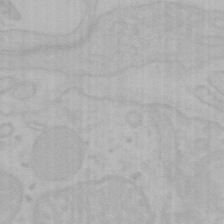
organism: Mouse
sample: Choroid plexus